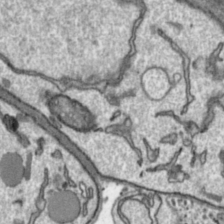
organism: Toxoplasma gondii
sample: Parasites in a vacuole inside a host cell